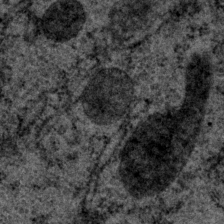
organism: P. pacificus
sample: Pharynx